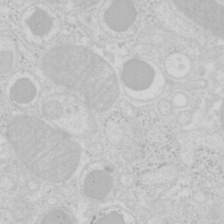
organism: Mouse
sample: Pancreas